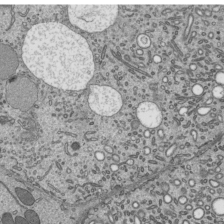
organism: Mouse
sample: Mouse epididymis efferent ductule cilia